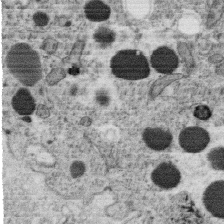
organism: C. elegans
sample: C. elegans oocyte; sperm cells